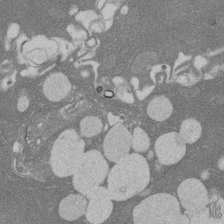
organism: Rat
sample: Salivary granule